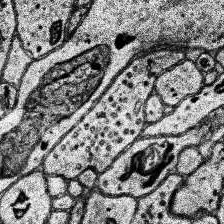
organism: Human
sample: Temporal Lobe